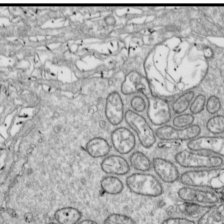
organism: Drosophila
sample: Cell division; meiosis; drosophila spermatocytes